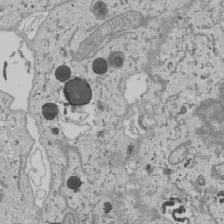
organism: Human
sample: Mitochondria in U2OS cells